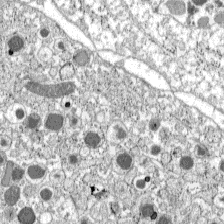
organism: C57BL Mouse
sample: Pancreatic islet